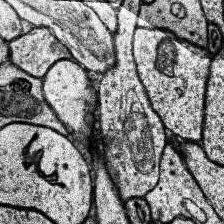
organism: Human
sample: Temporal Lobe